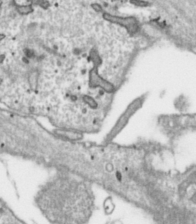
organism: Toxoplasma gondii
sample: Parasites in a vacuole inside a host cell